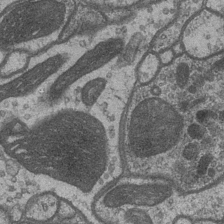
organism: Drosophila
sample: Optic medulla